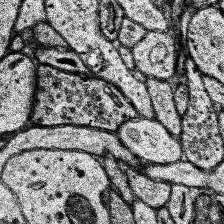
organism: Human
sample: Temporal Lobe